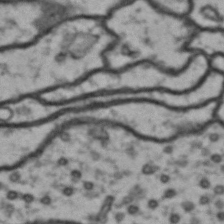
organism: Drosophila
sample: Brain